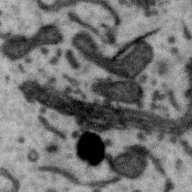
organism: Zebra finch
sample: Brain